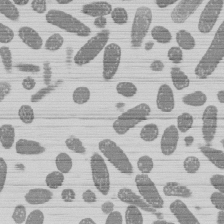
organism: E. coli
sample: Bacterial nucleoid